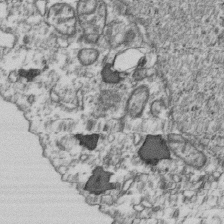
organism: Human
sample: Activated Jurkat CD4+ T cells